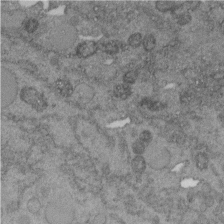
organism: C. elegans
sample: C. elegans embryo early stage